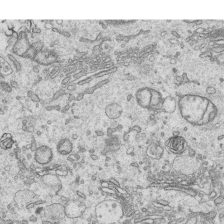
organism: Human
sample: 1205lu cells